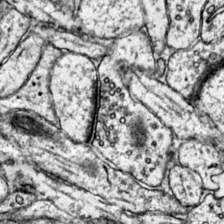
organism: Mouse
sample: Primary visual cortex